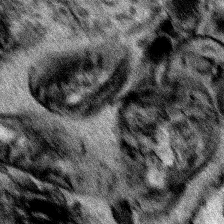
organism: Human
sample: Mitochondria in HCT116 cells